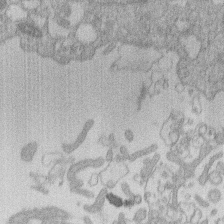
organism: Human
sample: Macrophage cells